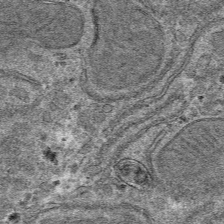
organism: Mouse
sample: Mouse hepatocytes